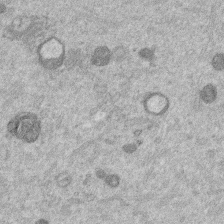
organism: Mouse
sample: Dividing mouse embryo 1 cell stage